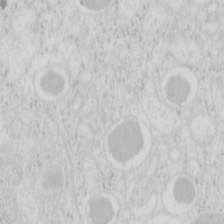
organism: Mouse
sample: Pancreas